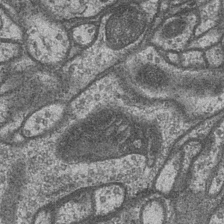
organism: Drosophila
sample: Optic medulla